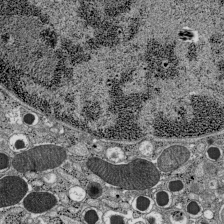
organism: C57BL Mouse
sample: Pancreatic islet